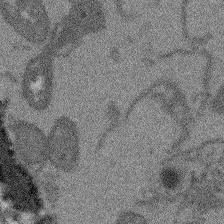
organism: Arabidopsis thaliana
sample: Root tip